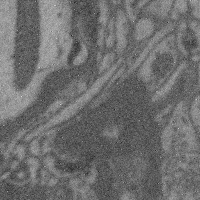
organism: Mouse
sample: Cerebral cortex